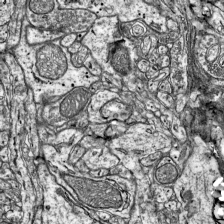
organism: Mouse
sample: Visual Cortex